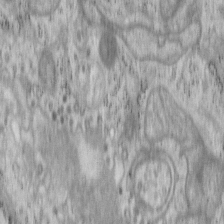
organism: Human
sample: HeLa cells